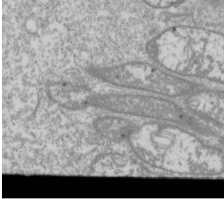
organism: Drosophila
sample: Cell division; meiosis; drosophila spermatocytes